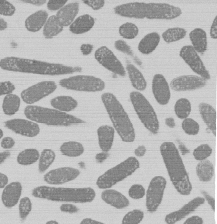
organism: E. coli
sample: Bacterial nucleoid